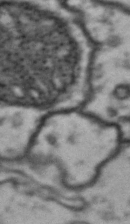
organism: Drosophila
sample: Brain